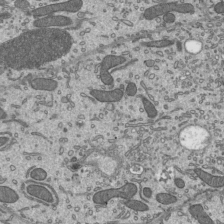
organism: Mouse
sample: Mouse epididymis efferent ductule cilia